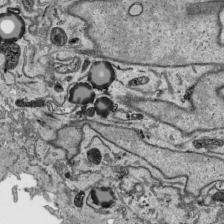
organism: Human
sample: Mitochondria in HCT116 cells